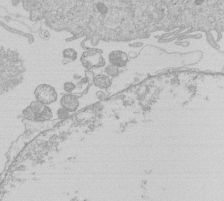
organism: Human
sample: Macrophage cells